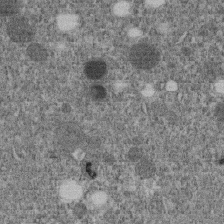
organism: C. elegans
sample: C. elegans embryo early stage